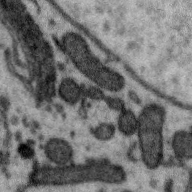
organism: Zebra finch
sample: Brain